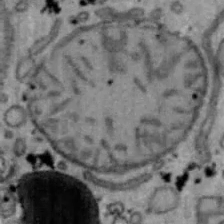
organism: Mouse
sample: Liver